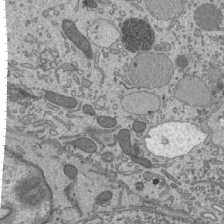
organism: Mouse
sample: Mouse epididymis efferent ductule cilia